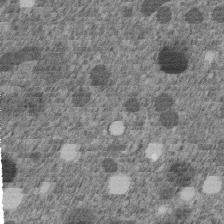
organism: C. elegans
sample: C. elegans embryo early stage